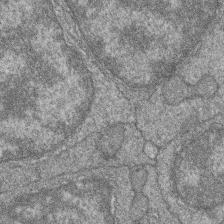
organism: Zebrafish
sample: Cilia; retinal pigment epithelium